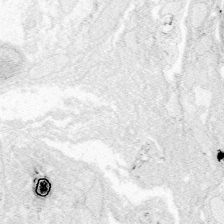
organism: Zebrafish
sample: Whole-Brain